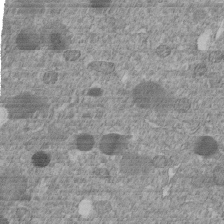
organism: C. elegans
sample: C. elegans embryo early stage